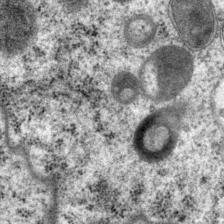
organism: P. pacificus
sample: Pharynx